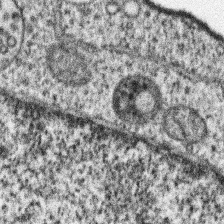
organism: Human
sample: HeLa cells